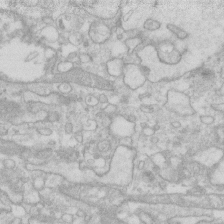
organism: Human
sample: Fibroblast cells